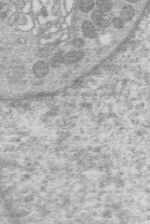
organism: Human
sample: Macrophage cells